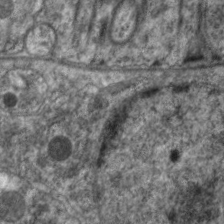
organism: C. elegans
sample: Pharynx